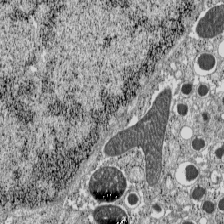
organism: C57BL Mouse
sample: Pancreatic islet